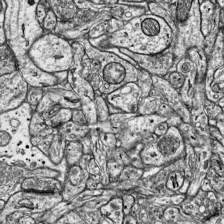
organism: Mouse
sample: Visual Cortex